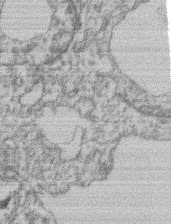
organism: Mouse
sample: T cell stromal cell synapse